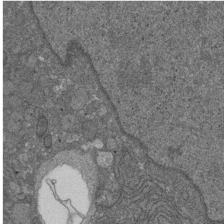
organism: Drosophila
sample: Nephrocyte